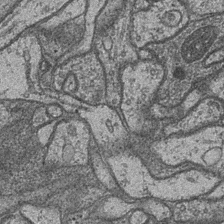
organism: Drosophila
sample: Optic medulla